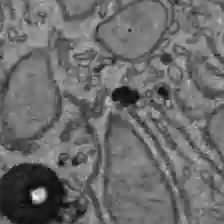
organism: C57BL Mouse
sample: Liver